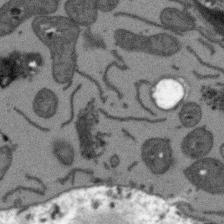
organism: Arabidopsis thaliana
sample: Root tip